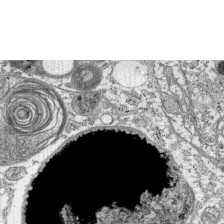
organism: C57BL Mouse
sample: Pancreatic islet